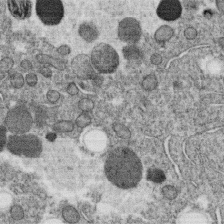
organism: C. elegans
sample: C. elegans oocyte; sperm cells